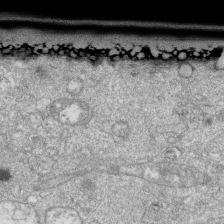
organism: Human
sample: HeLa cell HIV synapse